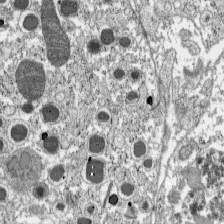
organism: C57BL Mouse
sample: Pancreatic islet